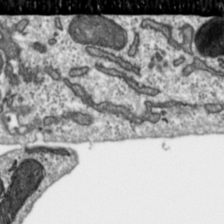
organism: Toxoplasma gondii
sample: Parasites in a vacuole inside a host cell